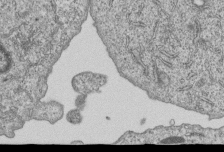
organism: Human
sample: MDA-MB-231 cells